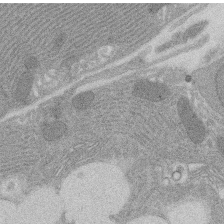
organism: Rat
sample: Salivary granule